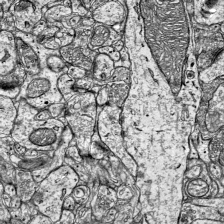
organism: Mouse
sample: Visual Cortex